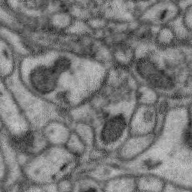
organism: Zebra finch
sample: Brain